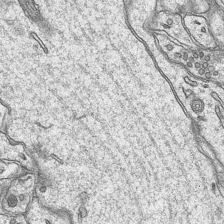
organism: Mouse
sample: CA1 Hippocampus